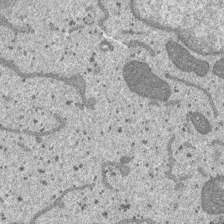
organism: Human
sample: Lung epithelial cells infected with SARS-CoV-2